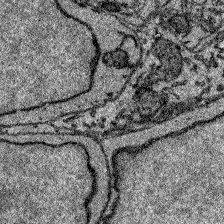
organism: Zebrafish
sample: Larval olfactory bulb